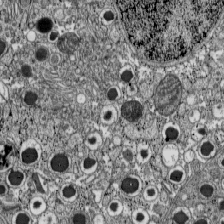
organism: C57BL Mouse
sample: Pancreatic islet